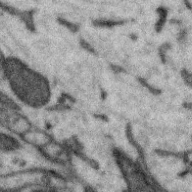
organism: Zebra finch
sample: Brain